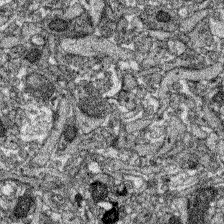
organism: Zebrafish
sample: Larval olfactory bulb